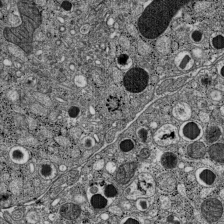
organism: C57BL Mouse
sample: Pancreatic islet